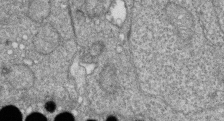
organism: Zebrafish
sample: Cilia; retinal pigment epithelium